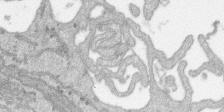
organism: Human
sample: Lung epithelial cells infected with SARS-CoV-2